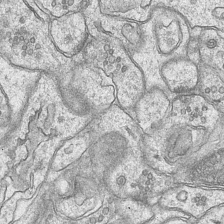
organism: Mouse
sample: CA1 Hippocampus